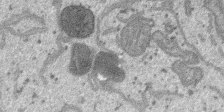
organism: Human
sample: Lung epithelial cells infected with SARS-CoV-2